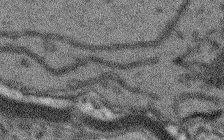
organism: Arabidopsis thaliana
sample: Root tip